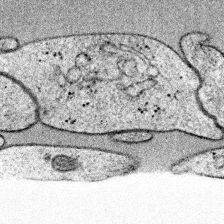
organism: Human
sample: HeLa cells